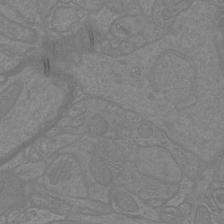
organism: Mouse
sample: Cortical neurons